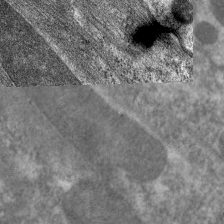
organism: C. elegans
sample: Pharynx